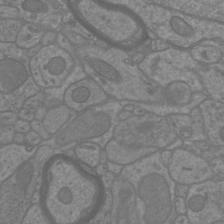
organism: Mouse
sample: Cortical neurons